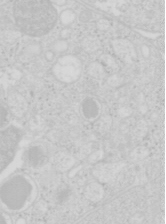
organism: Mouse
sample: Pancreas